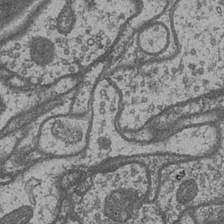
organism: Drosophila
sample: Optic medulla